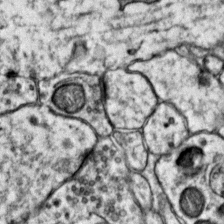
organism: Mouse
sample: Primary visual cortex